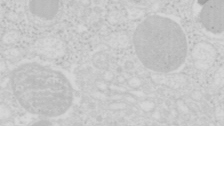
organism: Mouse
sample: Pancreas